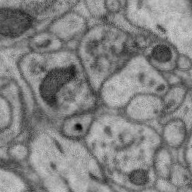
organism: Zebra finch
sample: Brain